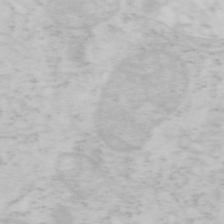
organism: Mouse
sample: OT-I killer T cells with ID8 ovarian cancer cells